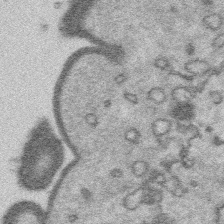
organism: Platynereis dumerilii